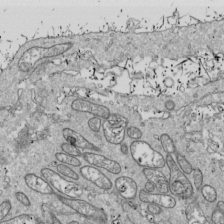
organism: Drosophila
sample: Cell division; meiosis; drosophila spermatocytes